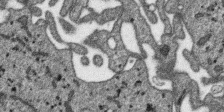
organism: Human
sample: Lung epithelial cells infected with SARS-CoV-2